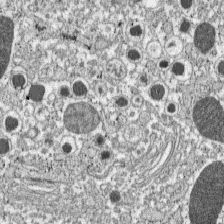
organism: C57BL Mouse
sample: Pancreatic islet